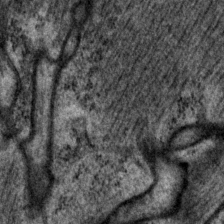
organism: P. pacificus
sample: Pharynx